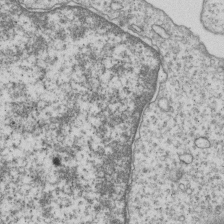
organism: Human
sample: MDA-MB-231 cells